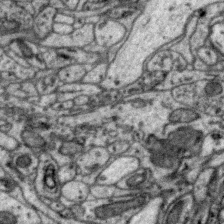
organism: Zebra finch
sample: Brain